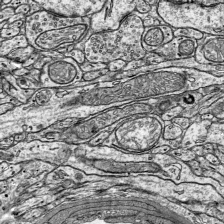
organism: Mouse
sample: Visual Cortex